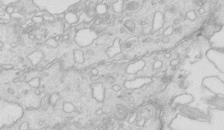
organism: Mouse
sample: Multiciliated cells